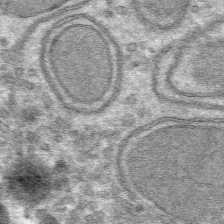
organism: Mouse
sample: Mouse hepatocytes